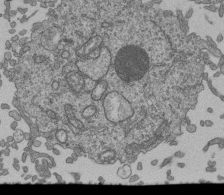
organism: Human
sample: Retinal organoid Rod and Cone cells